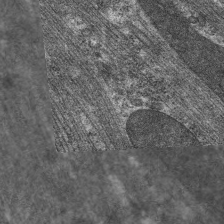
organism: C. elegans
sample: Pharynx